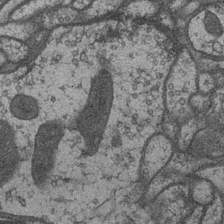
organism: Drosophila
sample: Optic medulla